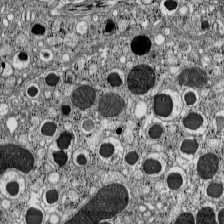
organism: C57BL Mouse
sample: Pancreatic islet